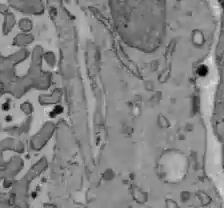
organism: C57BL Mouse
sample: Liver